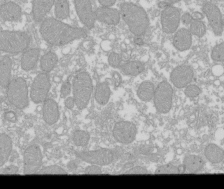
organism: Xenopus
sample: Cilia; centrioles in frog embryo cells